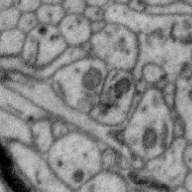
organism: Zebra finch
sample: Brain